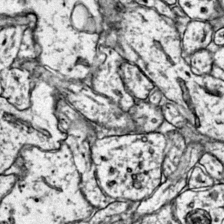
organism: Mouse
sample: Primary visual cortex